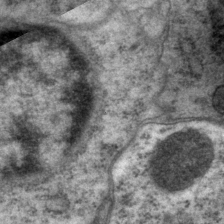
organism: P. pacificus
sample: Pharynx